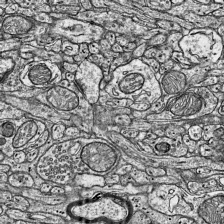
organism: Mouse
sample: Visual Cortex